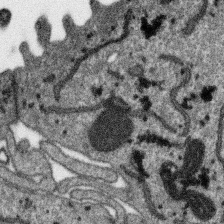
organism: Human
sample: Lung epithelial cells infected with SARS-CoV-2